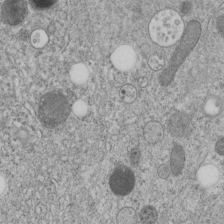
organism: C. elegans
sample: C. elegans embryo early stage